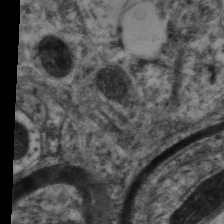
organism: Mouse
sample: Neocortex